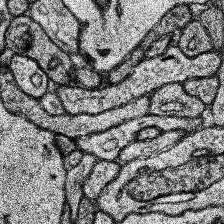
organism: Human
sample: Temporal Lobe